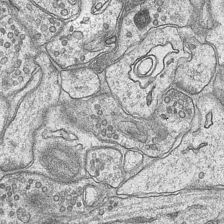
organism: Mouse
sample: CA1 Hippocampus